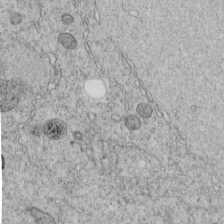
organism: C. elegans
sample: C. elegans embryo early stage